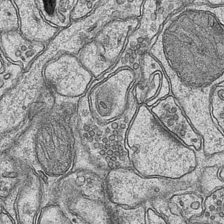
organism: Mouse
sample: CA1 Hippocampus